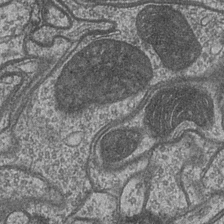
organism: Drosophila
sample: Optic medulla